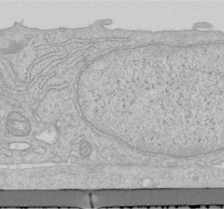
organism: Human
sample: Centriole in RPE cells